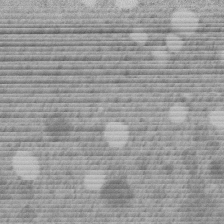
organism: C. elegans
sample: C. elegans embryo early stage